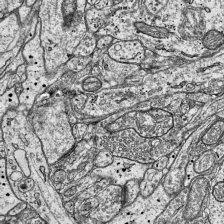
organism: Mouse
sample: Visual Cortex